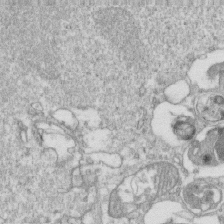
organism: Mouse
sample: Activated OT-1 CD8+ T cells